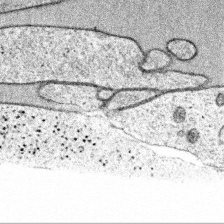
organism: Human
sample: HeLa cells